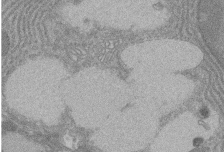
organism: Rat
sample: Salivary granule